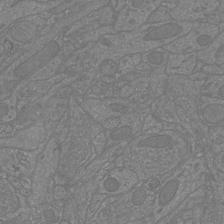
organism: Mouse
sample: Cortical neurons